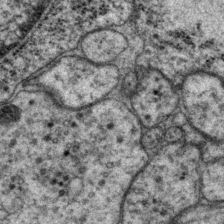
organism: P. pacificus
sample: Pharynx